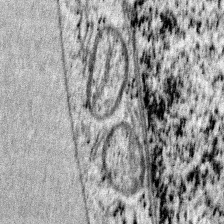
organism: Human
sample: HeLa cells